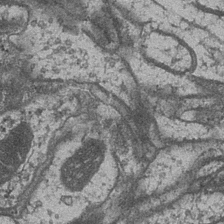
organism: Drosophila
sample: Optic medulla